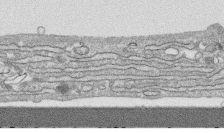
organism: Human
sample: CRL-1474